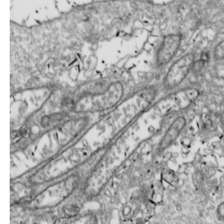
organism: Drosophila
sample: Cell division; meiosis; drosophila spermatocytes